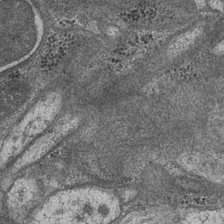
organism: Drosophila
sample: Optic medulla